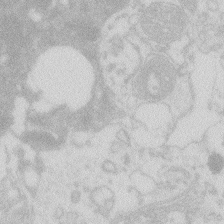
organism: Zebrafish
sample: Macrophage